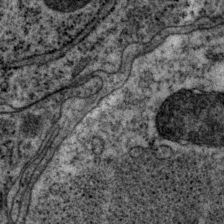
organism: P. pacificus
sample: Pharynx